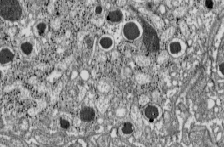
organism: C57BL Mouse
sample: Pancreatic islet